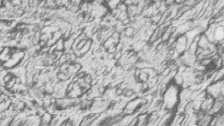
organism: Zebrafish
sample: synaptic ribbons in rod cells and cone cells